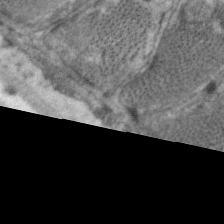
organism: C. elegans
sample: Pharynx